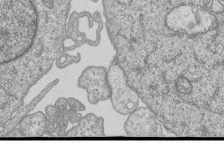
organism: Human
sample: MDA-MB-231 cells